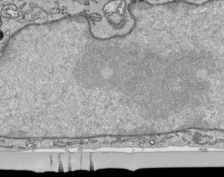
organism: Human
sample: Mitochondria in HCT116 cells